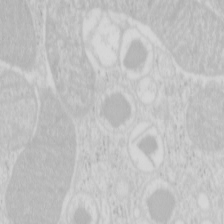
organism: Mouse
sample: Pancreas